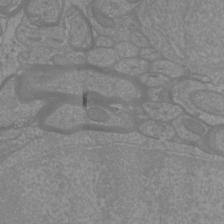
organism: Mouse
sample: Cortical neurons